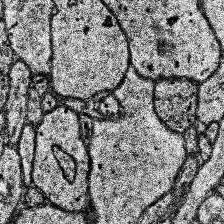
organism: Human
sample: Temporal Lobe